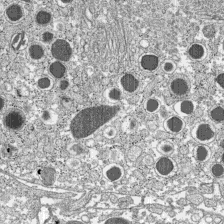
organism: C57BL Mouse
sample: Pancreatic islet